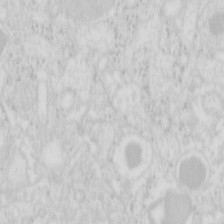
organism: Mouse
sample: Pancreas